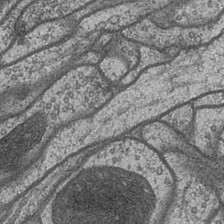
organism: Drosophila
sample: Optic medulla